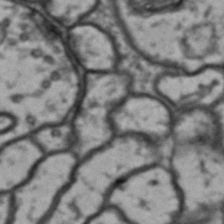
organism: Drosophila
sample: Brain